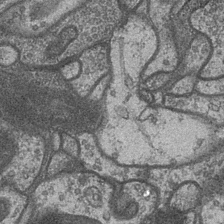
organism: Drosophila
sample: Optic medulla